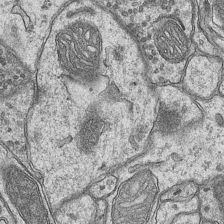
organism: Mouse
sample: CA1 Hippocampus